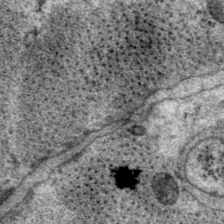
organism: P. pacificus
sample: Pharynx